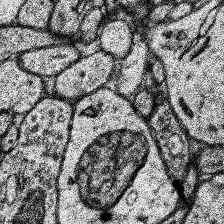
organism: Human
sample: Temporal Lobe